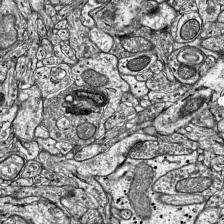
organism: Mouse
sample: Visual Cortex